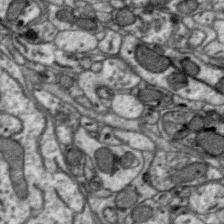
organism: Zebra finch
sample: Brain